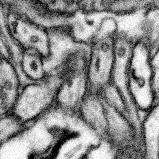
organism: Mouse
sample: Somatosensory cortex neuropil